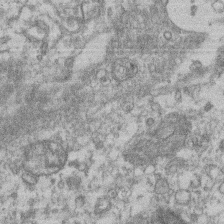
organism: Mouse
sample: T cell stromal cell synapse